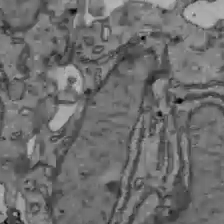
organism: C57BL Mouse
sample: Liver